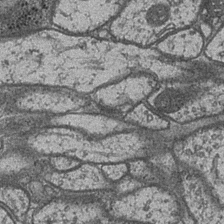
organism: Drosophila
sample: Optic medulla